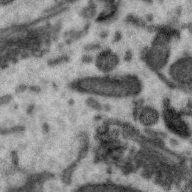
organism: Zebra finch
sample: Brain